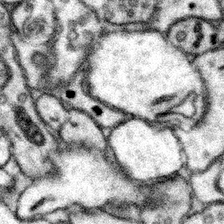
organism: Mouse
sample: Somatosensory cortex neuropil